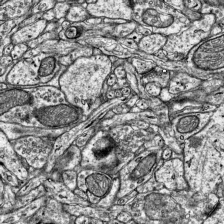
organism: Mouse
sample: Visual Cortex